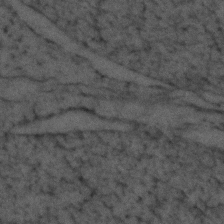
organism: Zebrafish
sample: Zebrafish embryo